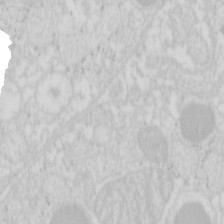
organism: Mouse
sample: Pancreas